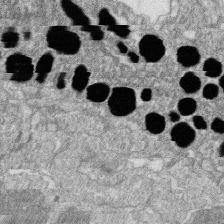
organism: Zebrafish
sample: Cilia; retinal pigment epithelium